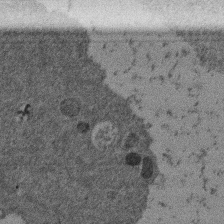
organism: Mouse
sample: Dividing mouse embryo 1 cell stage